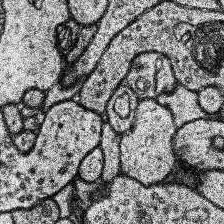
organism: Human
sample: Temporal Lobe